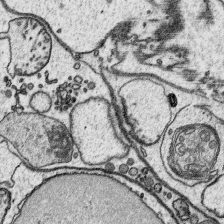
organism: Platynereis dumerilii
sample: Parapodia